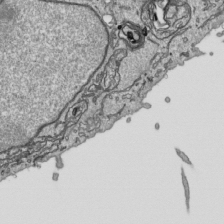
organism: Human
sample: Mitochondria in HCT116 cells